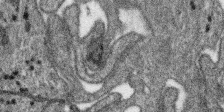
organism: Human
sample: Lung epithelial cells infected with SARS-CoV-2